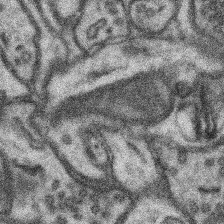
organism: Mouse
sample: Somatosensory cortex neuropil